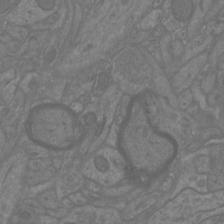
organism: Mouse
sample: Cortical neurons